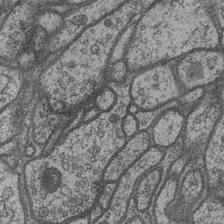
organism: Drosophila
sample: Optic medulla